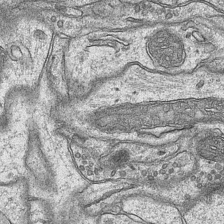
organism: Mouse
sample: CA1 Hippocampus